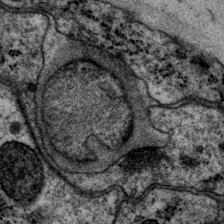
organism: P. pacificus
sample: Pharynx